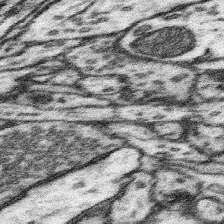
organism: Mouse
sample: Somatosensory cortex neuropil